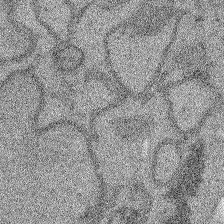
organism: Human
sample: HeLa cells